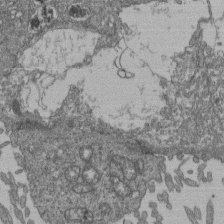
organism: Human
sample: Retinal organoid Rod and Cone cells